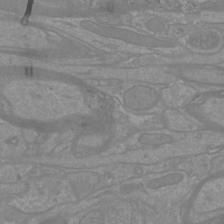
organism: Mouse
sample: Cortical neurons